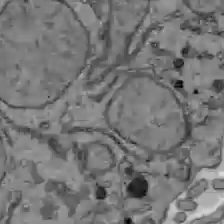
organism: C57BL Mouse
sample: Liver